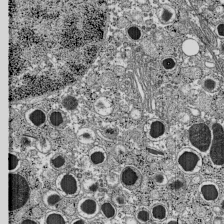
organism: C57BL Mouse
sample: Pancreatic islet